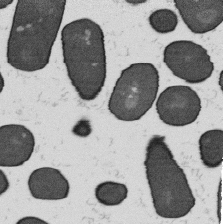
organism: B. subtilis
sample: Bacterial spore